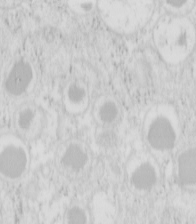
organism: Mouse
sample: Pancreas